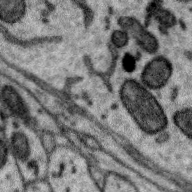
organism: Zebra finch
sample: Brain